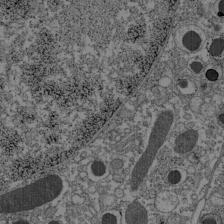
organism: C57BL Mouse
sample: Pancreatic islet